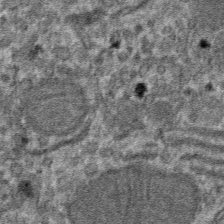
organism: Mouse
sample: Mouse hepatocytes